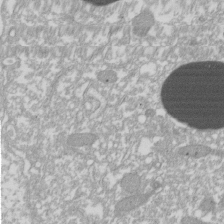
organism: Xenopus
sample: Cilia; centrioles in frog embryo cells